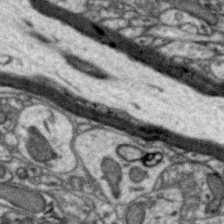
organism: Zebra finch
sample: Brain